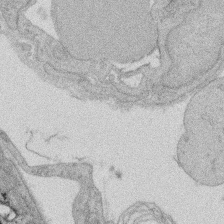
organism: Rat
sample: Salivary granule